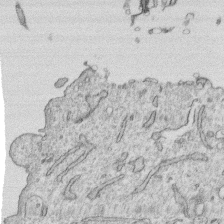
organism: Human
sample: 1205lu cells